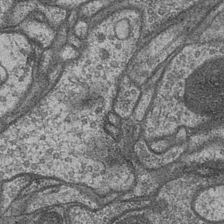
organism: Drosophila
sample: Optic medulla